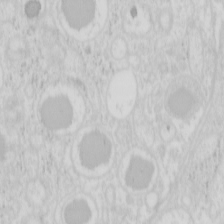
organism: Mouse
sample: Pancreas